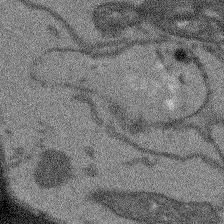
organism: Arabidopsis thaliana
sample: Root tip